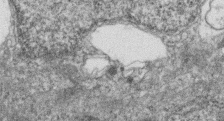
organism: Zebrafish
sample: Cilia; retinal pigment epithelium